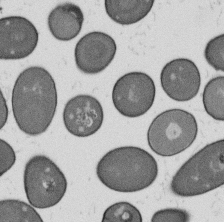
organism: B. subtilis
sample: Bacterial spore